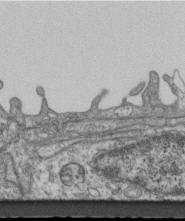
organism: Mouse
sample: Centriole in ependymal cells